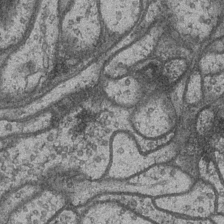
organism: Drosophila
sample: Optic medulla